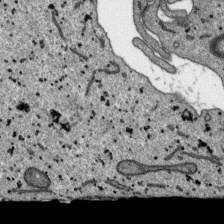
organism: Human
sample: Lung epithelial cells, uninfected (mock) control